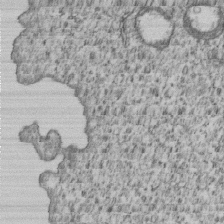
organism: Human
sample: MDA-MB-231 cells